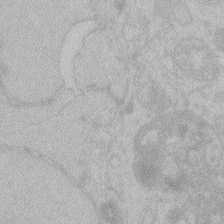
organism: Zebrafish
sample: Macrophage infected with Toxoplasma gondii